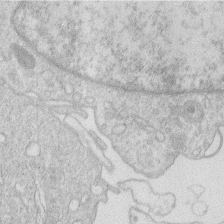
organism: Human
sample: Macrophage cells